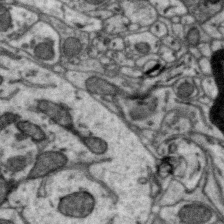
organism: Zebra finch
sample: Brain